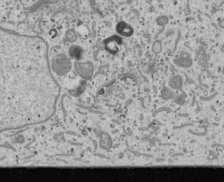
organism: Human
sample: Mitochondria in U2OS cells